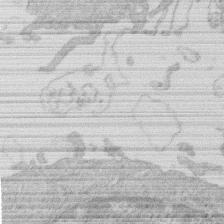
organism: Human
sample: Macrophage cells